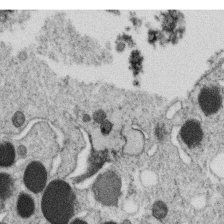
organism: C. elegans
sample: C. elegans oocyte; sperm cells